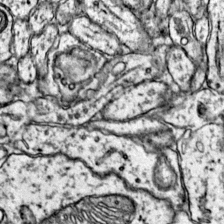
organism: Mouse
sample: Primary visual cortex